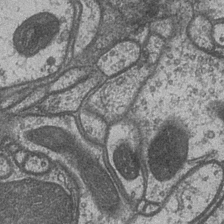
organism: Drosophila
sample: Optic medulla